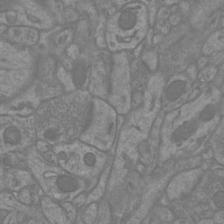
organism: Mouse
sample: Cortical neurons